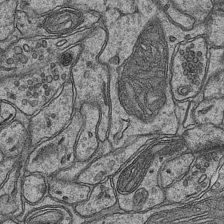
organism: Mouse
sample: CA1 Hippocampus